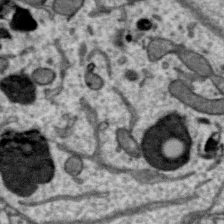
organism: Zebra finch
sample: Brain